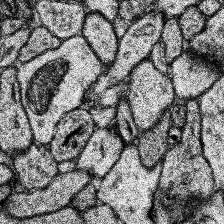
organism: Human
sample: Temporal Lobe